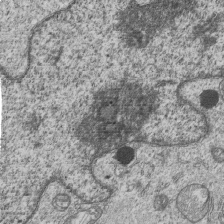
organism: Human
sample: MDA-MB-231 cells